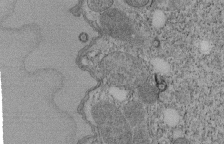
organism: Tetrahymena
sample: Cilia in tetrahymena